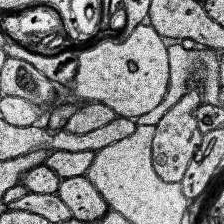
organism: Human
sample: Temporal Lobe